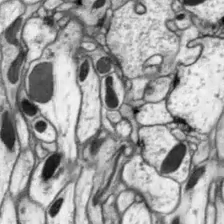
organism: Drosophila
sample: Optic lobe